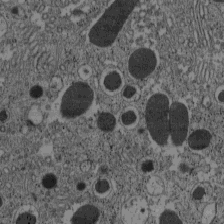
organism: C57BL Mouse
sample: Pancreatic islet